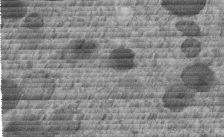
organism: C. elegans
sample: C. elegans embryo early stage